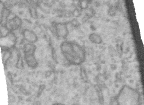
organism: Human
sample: Centriole in RPE cells